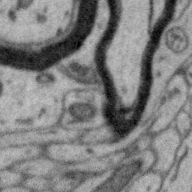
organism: Zebra finch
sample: Brain